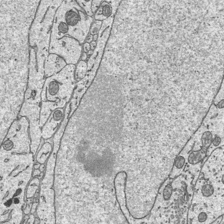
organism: Mouse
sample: Suprachiasmatic nucleus